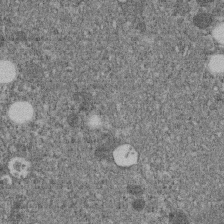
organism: C. elegans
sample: C. elegans embryo early stage